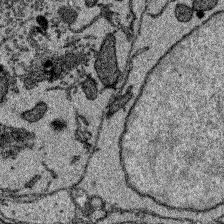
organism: Zebrafish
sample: Larval olfactory bulb